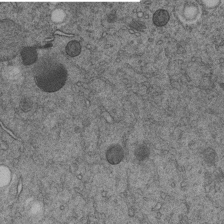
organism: C. elegans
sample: C. elegans embryo early stage